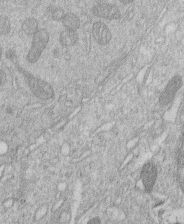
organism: Human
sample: Macrophage cells